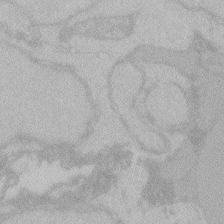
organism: Zebrafish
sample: Macrophage infected with Toxoplasma gondii